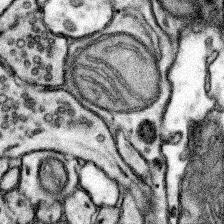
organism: Mouse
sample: Somatosensory cortex neuropil